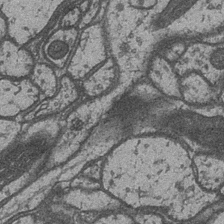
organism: Drosophila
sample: Optic medulla